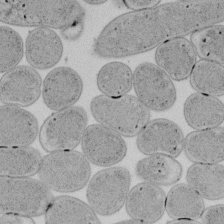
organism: E. coli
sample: Bacterial nucleoid